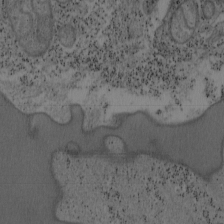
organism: Mouse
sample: OT-I killer T cells with ID8 ovarian cancer cells